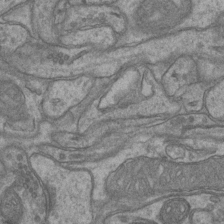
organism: Mouse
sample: CA1 Hippocampus